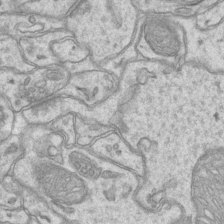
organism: Mouse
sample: CA1 Hippocampus